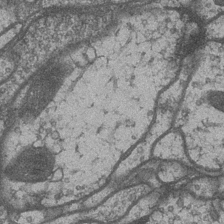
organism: Drosophila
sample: Optic medulla